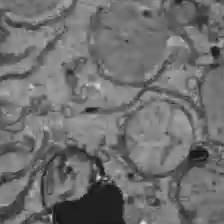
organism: C57BL Mouse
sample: Liver